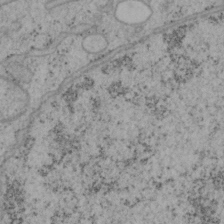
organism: Human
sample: HeLa cells